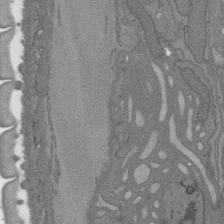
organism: C. elegans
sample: AFD neurons C. elegans